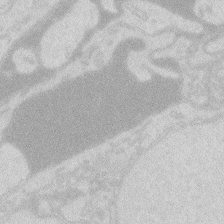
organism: Zebrafish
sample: Macrophage